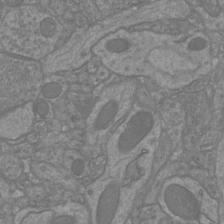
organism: Mouse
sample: Cortical neurons